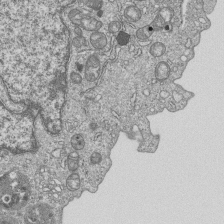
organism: Human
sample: MDA-MB-231 cells